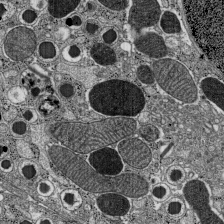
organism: C57BL Mouse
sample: Pancreatic islet